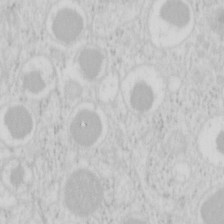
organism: Mouse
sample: Pancreas